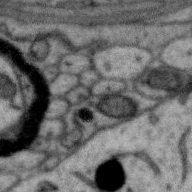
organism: Zebra finch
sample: Brain